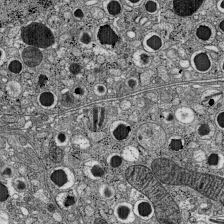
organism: C57BL Mouse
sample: Pancreatic islet